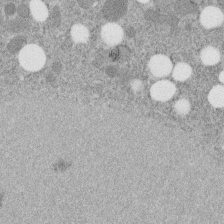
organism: C. elegans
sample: C. elegans embryo early stage